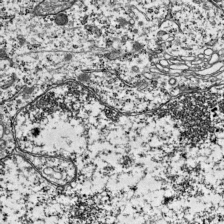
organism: Mouse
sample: Visual Cortex